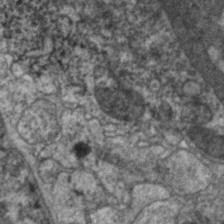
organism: C. elegans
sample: Pharynx